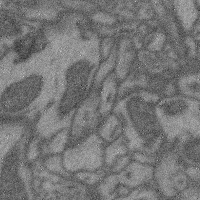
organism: Mouse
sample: Cerebral cortex